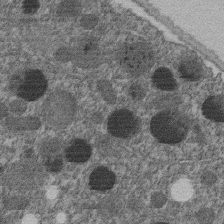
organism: C. elegans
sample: C. elegans embryo early stage